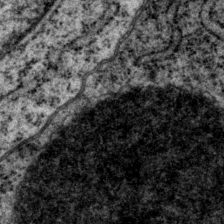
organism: P. pacificus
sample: Pharynx